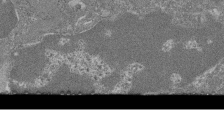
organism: Mouse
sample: Glomerulus